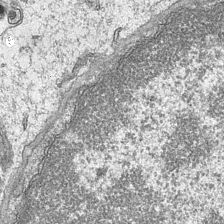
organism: Mouse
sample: CA1 Hippocampus